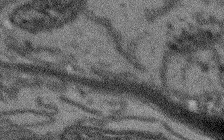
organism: Arabidopsis thaliana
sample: Root tip